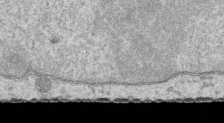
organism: Human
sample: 1205lu cells